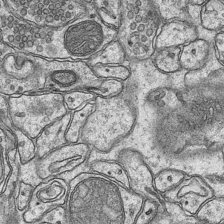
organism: Mouse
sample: CA1 Hippocampus